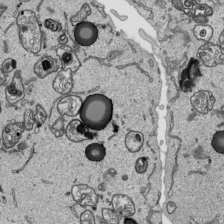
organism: Human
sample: Mitochondria in HCT116 cells